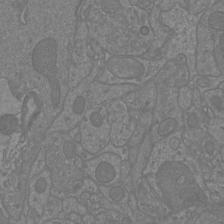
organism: Mouse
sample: Cortical neurons